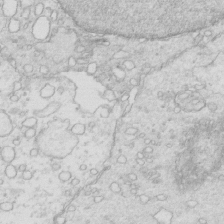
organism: Mouse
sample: Multiciliated cells